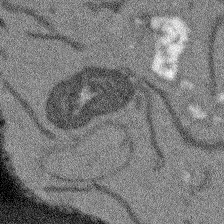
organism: Arabidopsis thaliana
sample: Root tip